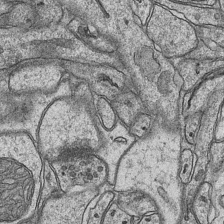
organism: Mouse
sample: CA1 Hippocampus